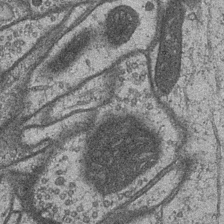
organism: Drosophila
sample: Optic medulla